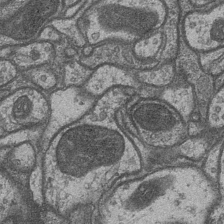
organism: Drosophila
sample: Optic medulla